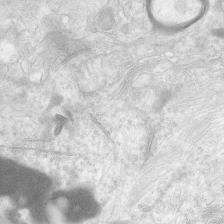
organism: Human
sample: Neocortex